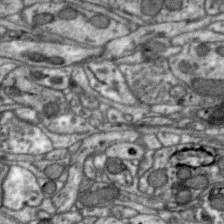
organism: Zebra finch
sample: Brain